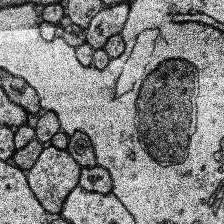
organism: Human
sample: Temporal Lobe